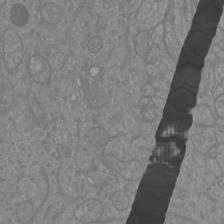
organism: Mouse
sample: Cortical neurons